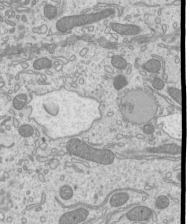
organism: Mouse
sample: Cilia; mouse epididymis